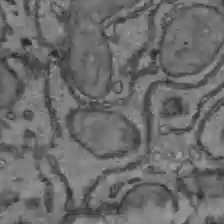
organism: C57BL Mouse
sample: Liver